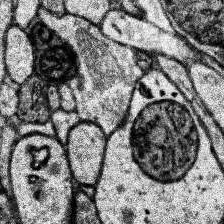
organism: Human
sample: Temporal Lobe